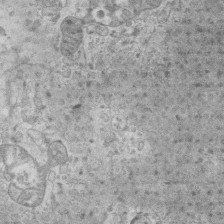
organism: Mouse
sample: Centriole in ependymal cells